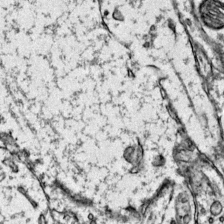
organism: Mouse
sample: Primary visual cortex